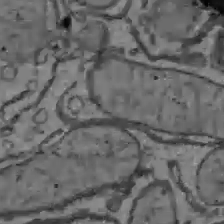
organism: C57BL Mouse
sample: Liver